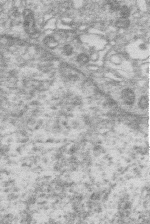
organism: Human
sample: Macrophage cells